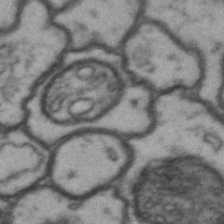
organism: Drosophila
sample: Brain